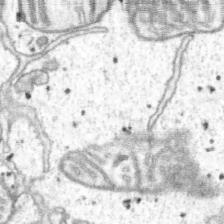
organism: Human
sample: HeLa cells